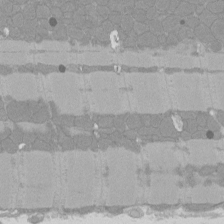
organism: Rat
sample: Left ventricle